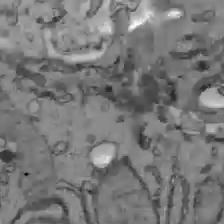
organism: C57BL Mouse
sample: Liver